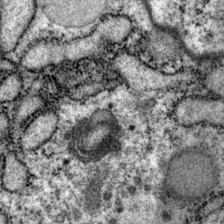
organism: P. pacificus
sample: Pharynx